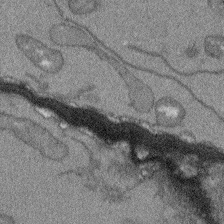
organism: Arabidopsis thaliana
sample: Root tip